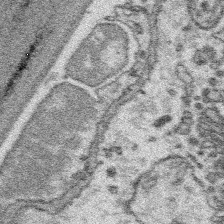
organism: Platynereis dumerilii